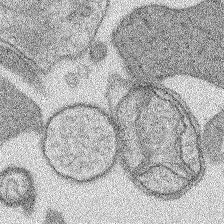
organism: Human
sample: HeLa cells